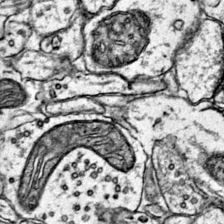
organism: Mouse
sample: Primary visual cortex